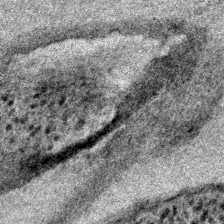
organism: E. coli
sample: E. Coli Bacteria